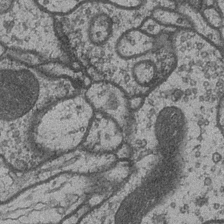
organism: Drosophila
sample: Optic medulla